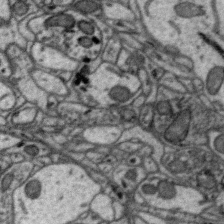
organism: Zebra finch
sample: Brain